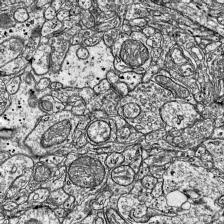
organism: Mouse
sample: Visual Cortex